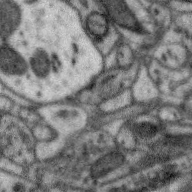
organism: Zebra finch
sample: Brain